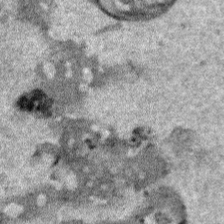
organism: Human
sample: Mitochondria in HCT116 cells